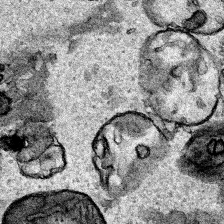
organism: Human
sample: Mitochondria in HCT116 cells